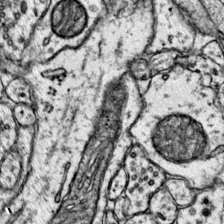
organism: Mouse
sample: Primary visual cortex